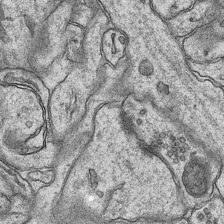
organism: Mouse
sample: CA1 Hippocampus